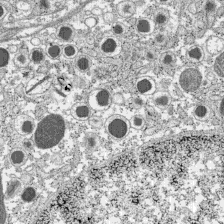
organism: C57BL Mouse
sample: Pancreatic islet